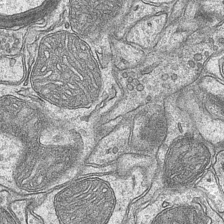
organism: Mouse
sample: CA1 Hippocampus